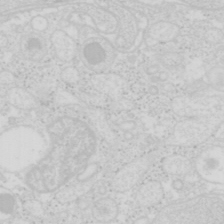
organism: Mouse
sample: Pancreas